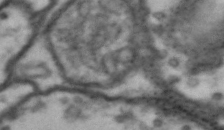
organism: Drosophila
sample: Brain